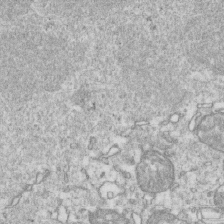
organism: Mouse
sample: Activated OT-1 CD8+ T cells